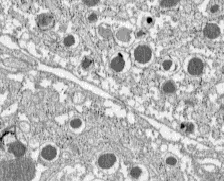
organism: C57BL Mouse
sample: Pancreatic islet